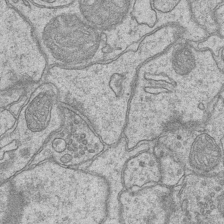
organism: Mouse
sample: CA1 Hippocampus